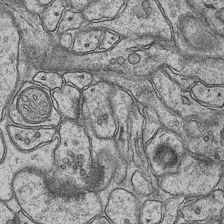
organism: Mouse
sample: CA1 Hippocampus